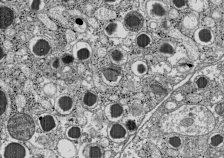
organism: C57BL Mouse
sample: Pancreatic islet